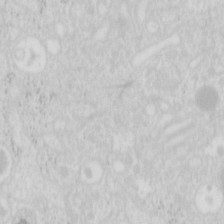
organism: Mouse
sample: Pancreas